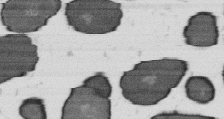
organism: B. subtilis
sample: Bacterial spore